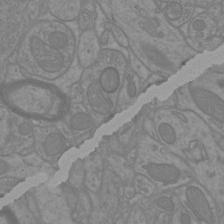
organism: Mouse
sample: Cortical neurons